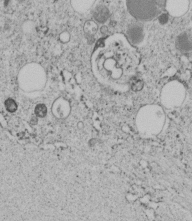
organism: C. elegans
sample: C. elegans embryo early stage